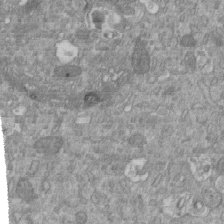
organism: Mouse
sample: ED-1 cell nuclei; centrioles